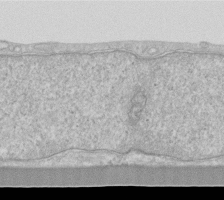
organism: Human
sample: Fibroblast cells